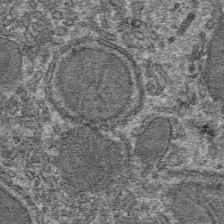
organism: Mouse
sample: Mouse hepatocytes